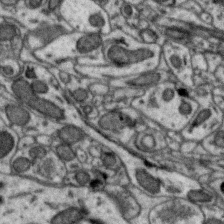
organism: Zebra finch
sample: Brain